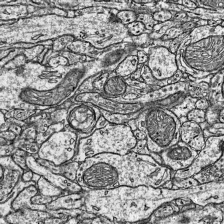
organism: Mouse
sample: Visual Cortex